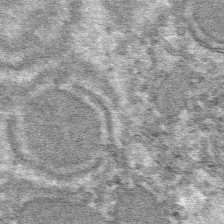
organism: Mouse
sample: Mouse hepatocytes